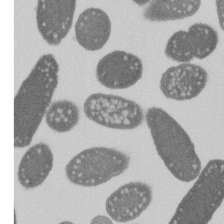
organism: E. coli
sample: Bacterial nucleoid